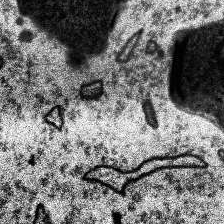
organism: Human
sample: Temporal Lobe